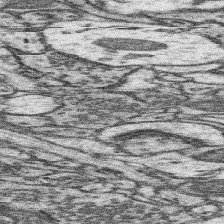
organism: Mouse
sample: Somatosensory cortex neuropil